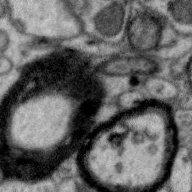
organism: Zebra finch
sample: Brain